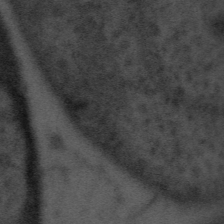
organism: Tuwongella immobilis